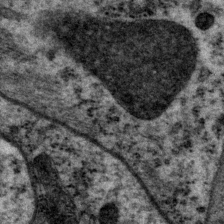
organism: P. pacificus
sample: Pharynx